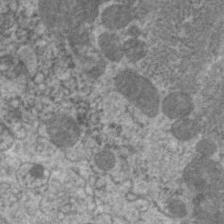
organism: C. elegans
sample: Pharynx